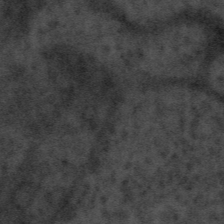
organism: Tuwongella immobilis